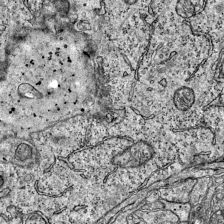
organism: Mouse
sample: Visual Cortex